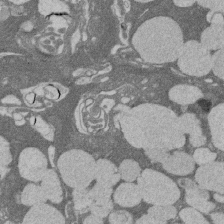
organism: Rat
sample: Salivary granule